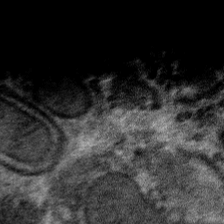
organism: Mouse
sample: Mouse hepatocytes